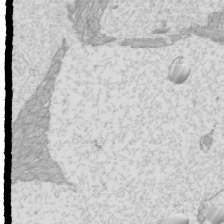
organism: Mouse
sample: Cilia; mouse epididymis